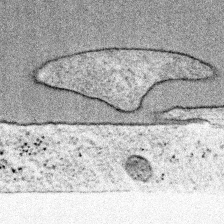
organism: Human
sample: HeLa cells